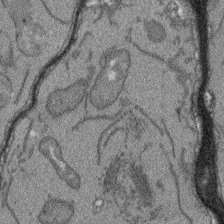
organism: Arabidopsis thaliana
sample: Root tip